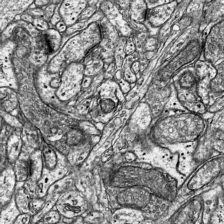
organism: Mouse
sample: Visual Cortex